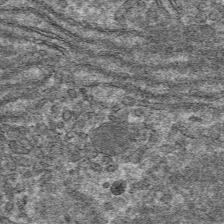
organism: Mouse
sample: Mouse hepatocytes